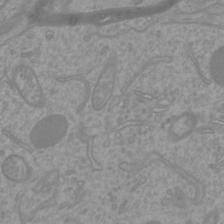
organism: Mouse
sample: Cortical neurons